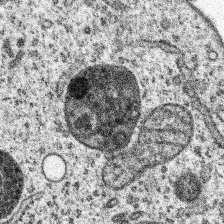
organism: Human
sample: HeLa cells